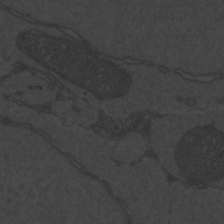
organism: Zebrafish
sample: Macrophage infected with Toxoplasma gondii